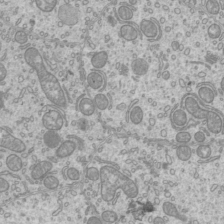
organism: Mouse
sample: Cilia; mouse epididymis